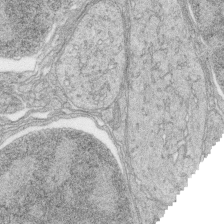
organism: Zebrafish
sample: synaptic ribbons in rod cells and cone cells